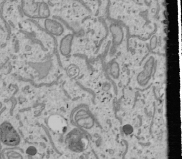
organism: Human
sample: Mitochondria in U2OS cells